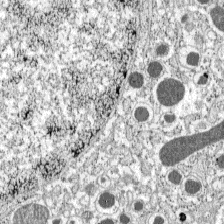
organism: C57BL Mouse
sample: Pancreatic islet